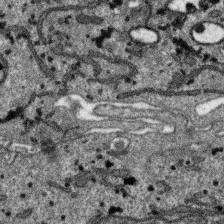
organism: Human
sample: Lung epithelial cells infected with SARS-CoV-2